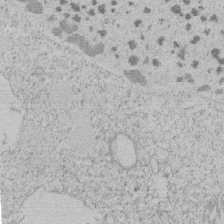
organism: Tetrahymena